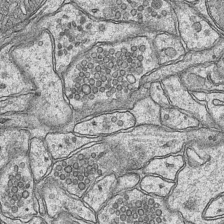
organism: Mouse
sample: CA1 Hippocampus